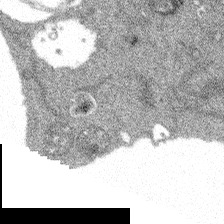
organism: Spongilla lacustris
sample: Multiple